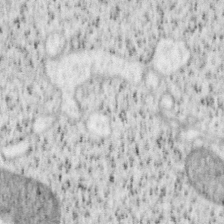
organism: Mouse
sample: OT-I killer T cells with ID8 ovarian cancer cells